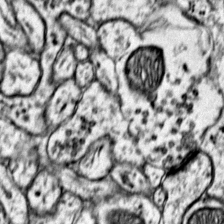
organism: Mouse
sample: Primary visual cortex